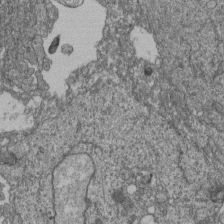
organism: Human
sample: Retinal organoid Rod and Cone cells